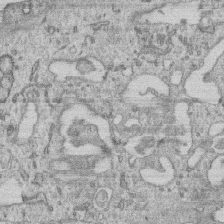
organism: Human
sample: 1205lu cells